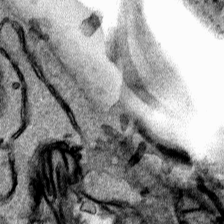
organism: Human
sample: Mitochondria in HCT116 cells